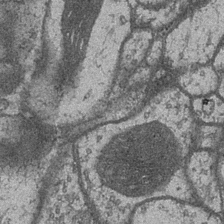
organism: Drosophila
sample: Optic medulla